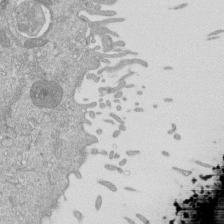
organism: Mouse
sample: ED-1 cell nuclei; centrioles